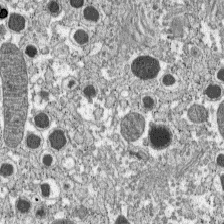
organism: C57BL Mouse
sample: Pancreatic islet